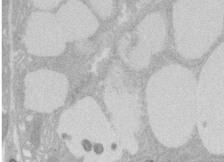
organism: Rat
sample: Salivary granule